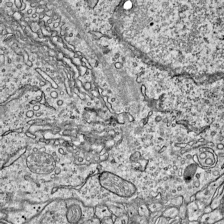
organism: Mouse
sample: Visual Cortex